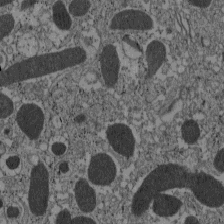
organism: C57BL Mouse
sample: Pancreatic islet